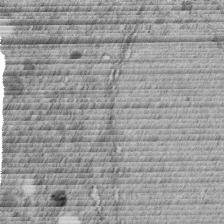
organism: C. elegans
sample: C. elegans embryo early stage